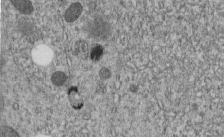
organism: C. elegans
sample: C. elegans embryo early stage